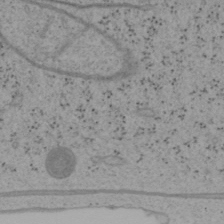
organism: Human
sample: HeLa cells